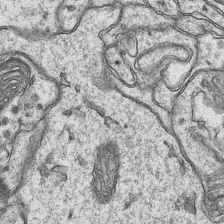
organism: Mouse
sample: CA1 Hippocampus